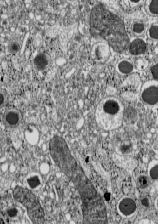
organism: C57BL Mouse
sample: Pancreatic islet